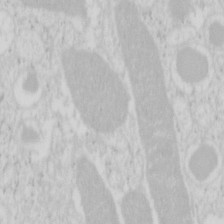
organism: Mouse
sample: Pancreas